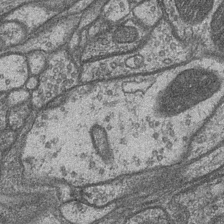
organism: Drosophila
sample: Optic medulla